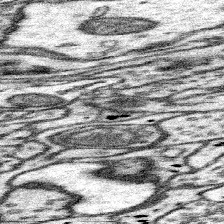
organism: Mouse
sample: Somatosensory cortex neuropil